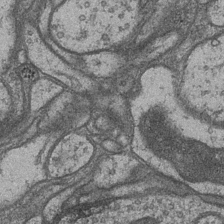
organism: Drosophila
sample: Optic medulla